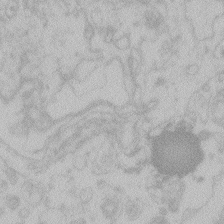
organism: Zebrafish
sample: Macrophage infected with Toxoplasma gondii